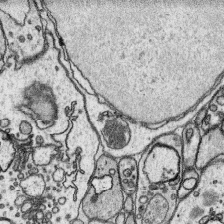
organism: Platynereis dumerilii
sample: Parapodia